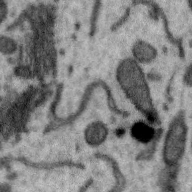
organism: Zebra finch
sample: Brain